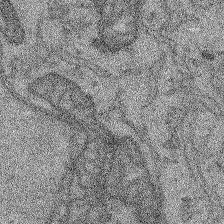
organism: Human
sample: HeLa cells